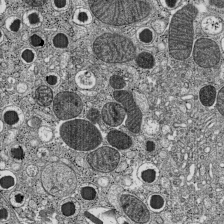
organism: C57BL Mouse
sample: Pancreatic islet